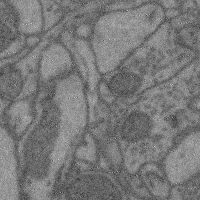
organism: Mouse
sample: Cerebral cortex